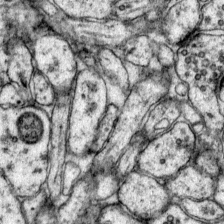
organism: Mouse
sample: Primary visual cortex